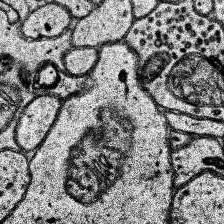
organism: Human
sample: Temporal Lobe